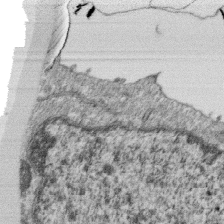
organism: African green monkey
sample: Vero E6 cells infected with SARS-CoV-2